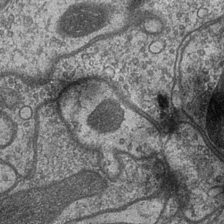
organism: Drosophila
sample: Optic medulla